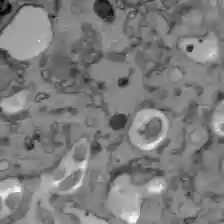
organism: C57BL Mouse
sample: Liver